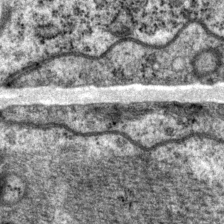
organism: P. pacificus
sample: Pharynx